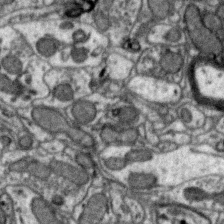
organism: Zebra finch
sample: Brain